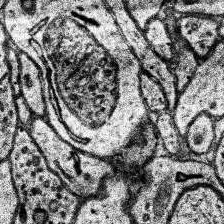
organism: Human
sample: Temporal Lobe